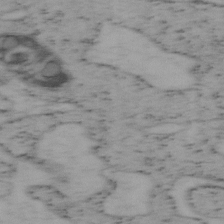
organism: Mouse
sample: OT-I killer T cells with ID8 ovarian cancer cells